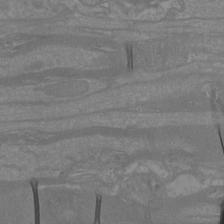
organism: Mouse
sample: Cortical neurons